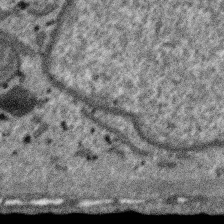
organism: Human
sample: Lung epithelial cells infected with SARS-CoV-2